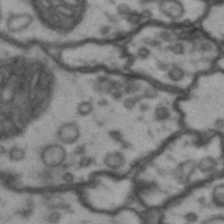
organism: Drosophila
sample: Brain